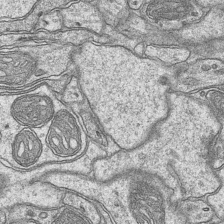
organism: Mouse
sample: CA1 Hippocampus